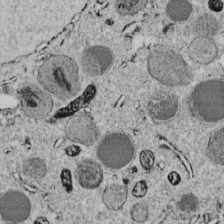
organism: C. elegans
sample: C. elegans embryo early stage